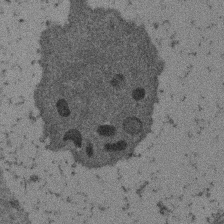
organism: Mouse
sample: Dividing mouse embryo 1 cell stage